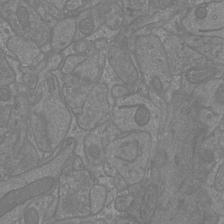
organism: Mouse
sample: Cortical neurons